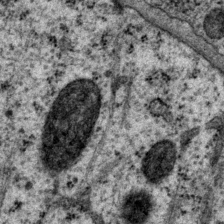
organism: P. pacificus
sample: Pharynx